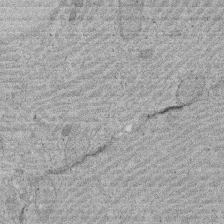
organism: Rat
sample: Salivary granule